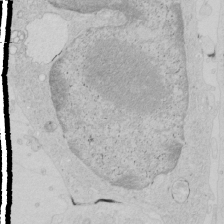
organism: Human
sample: Mitochondria in HCT116 cells